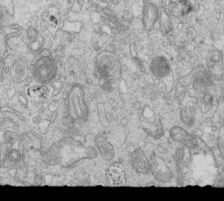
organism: Mouse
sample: Multiciliated cells